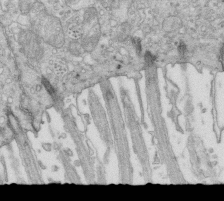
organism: Mouse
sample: Multiciliated cells